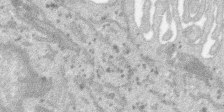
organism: Human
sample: Lung epithelial cells infected with SARS-CoV-2